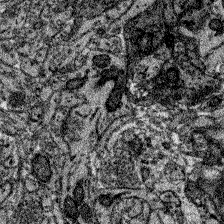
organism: Zebrafish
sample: Larval olfactory bulb